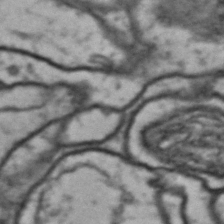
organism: Drosophila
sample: Brain